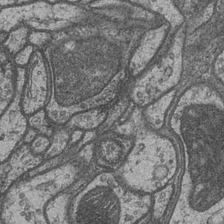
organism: Drosophila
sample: Optic medulla